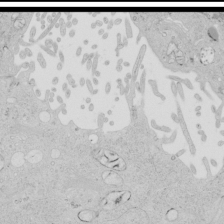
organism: Human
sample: Mitochondria in HCT116 cells